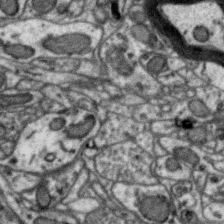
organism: Zebra finch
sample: Brain